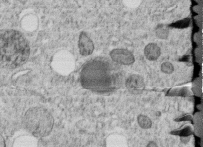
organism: C. elegans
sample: C. elegans embryo early stage